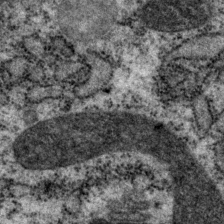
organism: P. pacificus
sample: Pharynx